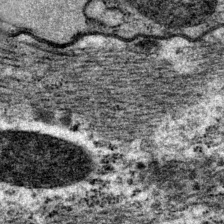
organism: P. pacificus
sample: Pharynx